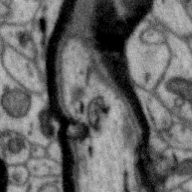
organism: Zebra finch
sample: Brain